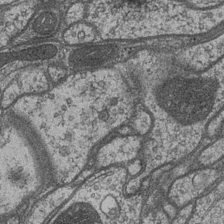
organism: Drosophila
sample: Optic medulla